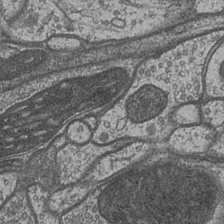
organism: Drosophila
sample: Optic medulla